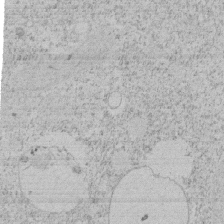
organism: Tetrahymena